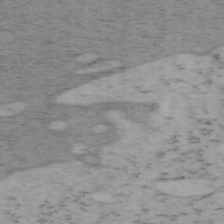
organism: Mouse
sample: OT-I killer T cells with ID8 ovarian cancer cells